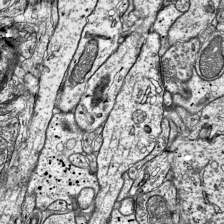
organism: Mouse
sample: Visual Cortex